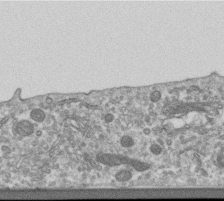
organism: Human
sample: Centriole in RPE cells